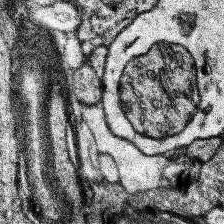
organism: Human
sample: Temporal Lobe